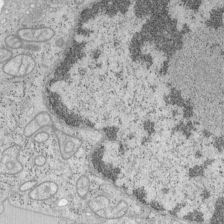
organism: Mouse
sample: OT-I killer T cells with ID8 ovarian cancer cells